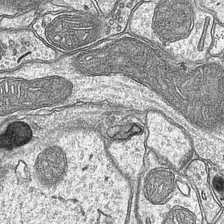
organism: Mouse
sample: CA1 Hippocampus